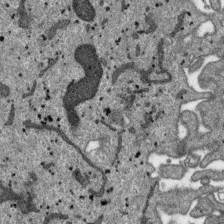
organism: Human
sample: Lung epithelial cells, uninfected (mock) control